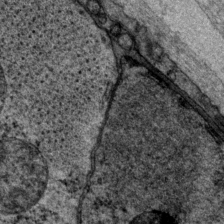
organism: P. pacificus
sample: Pharynx